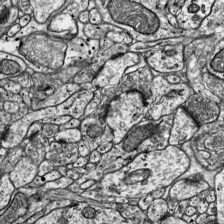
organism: Mouse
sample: Visual Cortex